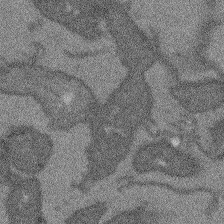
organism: Arabidopsis thaliana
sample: Root tip